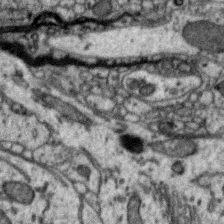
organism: Zebra finch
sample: Brain